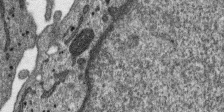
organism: Human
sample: Lung epithelial cells infected with SARS-CoV-2